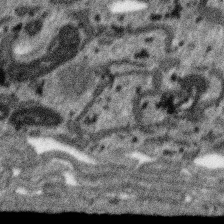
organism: Human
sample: Lung epithelial cells infected with SARS-CoV-2